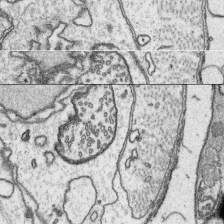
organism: Platynereis dumerilii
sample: Parapodia